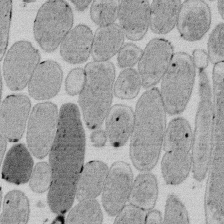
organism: E. coli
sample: Bacterial nucleoid